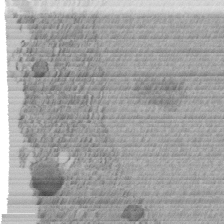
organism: C. elegans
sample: C. elegans embryo early stage